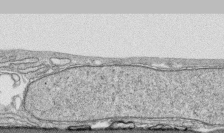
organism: Human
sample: CRL-1474